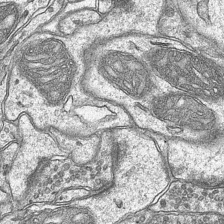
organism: Mouse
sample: CA1 Hippocampus